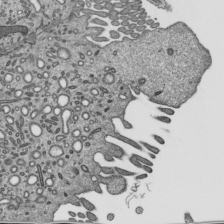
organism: Mouse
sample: Mouse epididymis efferent ductule cilia